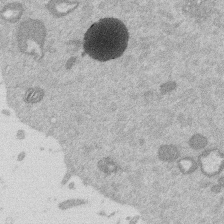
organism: Mouse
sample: Dividing mouse embryo 1 cell stage